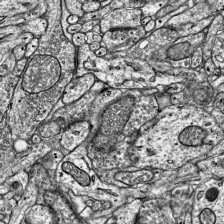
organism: Mouse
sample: Visual Cortex